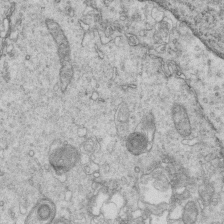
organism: Mouse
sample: Multiciliated cells